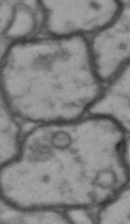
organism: Drosophila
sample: Brain